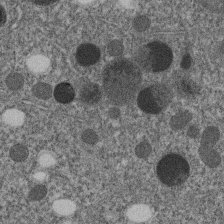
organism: C. elegans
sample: C. elegans embryo early stage